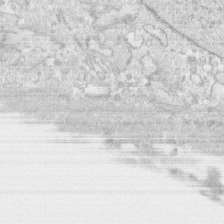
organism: Human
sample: CRL-1474